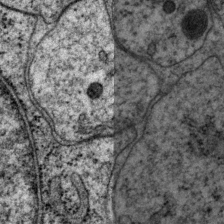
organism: P. pacificus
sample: Pharynx